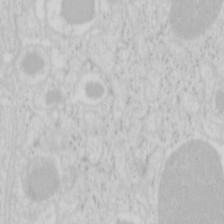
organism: Mouse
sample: Pancreas